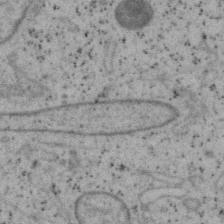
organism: Human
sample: HeLa cells